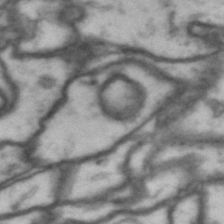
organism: Drosophila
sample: Brain